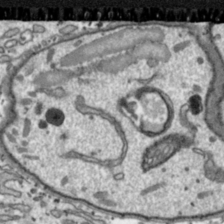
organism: Toxoplasma gondii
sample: Parasites in a vacuole inside a host cell